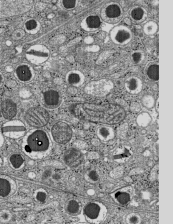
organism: C57BL Mouse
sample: Pancreatic islet